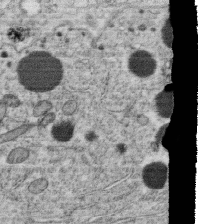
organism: C. elegans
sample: C. elegans oocyte; sperm cells